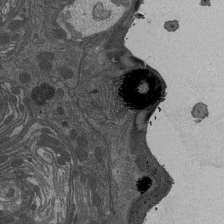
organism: Drosophila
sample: Antenna